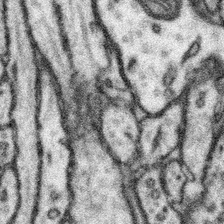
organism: Mouse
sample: Somatosensory cortex neuropil